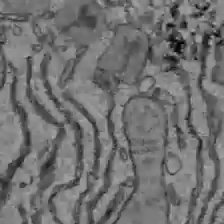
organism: C57BL Mouse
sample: Liver